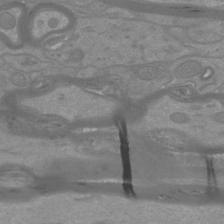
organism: Mouse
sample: Cortical neurons